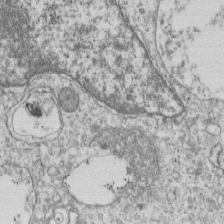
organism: Human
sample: MDA-MB-231 cells